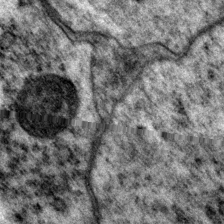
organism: P. pacificus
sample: Pharynx